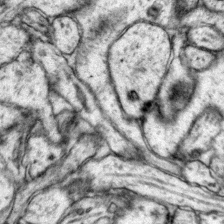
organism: Mouse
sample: Primary visual cortex